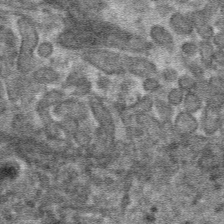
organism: Mouse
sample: Mouse hepatocytes